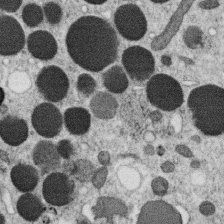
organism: C. elegans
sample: C. elegans oocyte; sperm cells